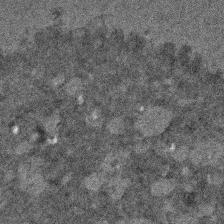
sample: Trachea